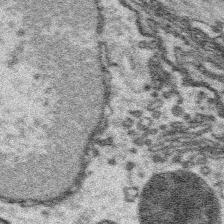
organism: Platynereis dumerilii